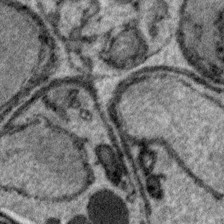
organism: Plasmodium falciparum